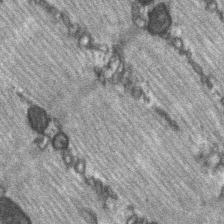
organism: C57BL Mouse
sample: Soleus